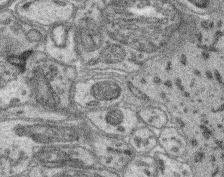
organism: Mouse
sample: Retina